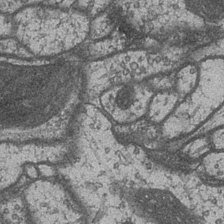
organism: Drosophila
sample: Optic medulla